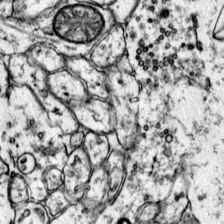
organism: Mouse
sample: Primary visual cortex